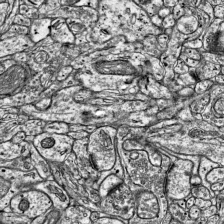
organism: Mouse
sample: Visual Cortex